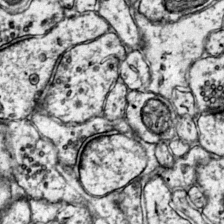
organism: Mouse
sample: Primary visual cortex